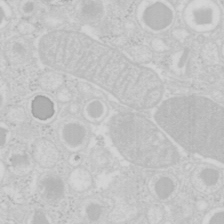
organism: Mouse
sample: Pancreas